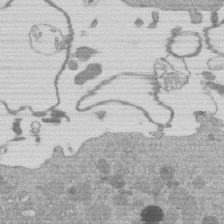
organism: Mouse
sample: Dividing mouse embryo 1 cell stage